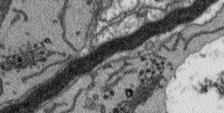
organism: Arabidopsis thaliana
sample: Root tip